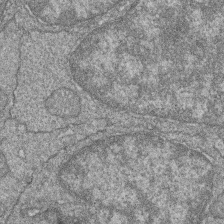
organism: Zebrafish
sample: Cilia; retinal pigment epithelium